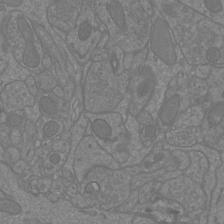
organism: Mouse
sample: Cortical neurons